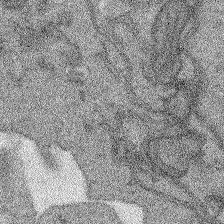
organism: Human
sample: HeLa cells